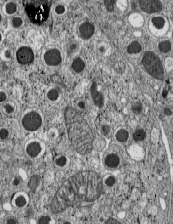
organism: C57BL Mouse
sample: Pancreatic islet